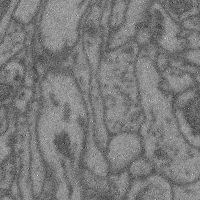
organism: Mouse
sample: Cerebral cortex